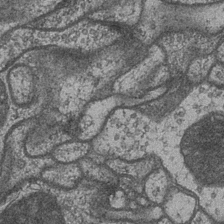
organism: Drosophila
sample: Optic medulla